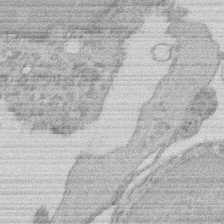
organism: Rat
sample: Salivary granule